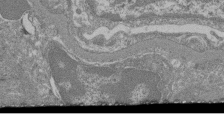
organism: Mouse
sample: Glomerulus